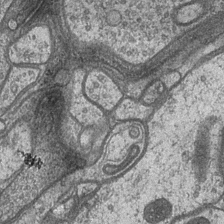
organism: Drosophila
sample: Optic medulla